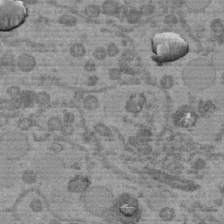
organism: C. elegans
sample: C. elegans embryo early stage